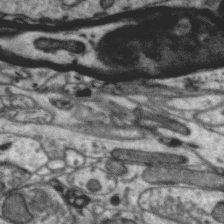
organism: Zebra finch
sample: Brain